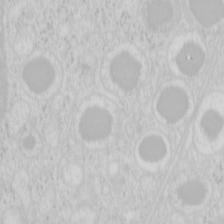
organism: Mouse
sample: Pancreas